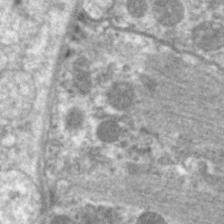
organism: C. elegans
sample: Pharynx